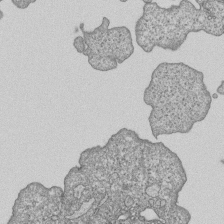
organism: Human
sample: MDA-MB-231 cells